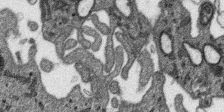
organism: Human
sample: Lung epithelial cells infected with SARS-CoV-2